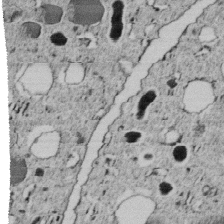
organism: C. elegans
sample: C. elegans embryo early stage